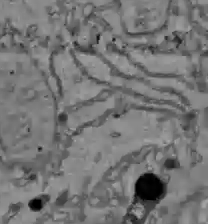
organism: C57BL Mouse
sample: Liver